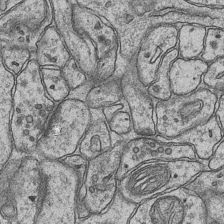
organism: Mouse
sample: CA1 Hippocampus